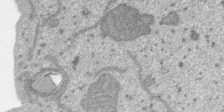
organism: Human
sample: Lung epithelial cells infected with SARS-CoV-2